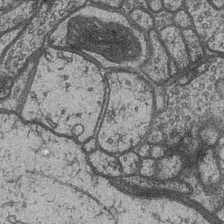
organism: Drosophila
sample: Optic medulla